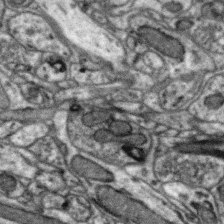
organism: Zebra finch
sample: Brain